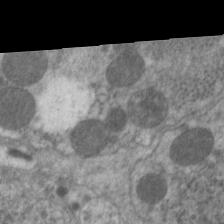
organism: C. elegans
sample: Pharynx